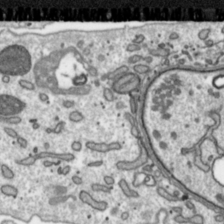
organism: Toxoplasma gondii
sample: Parasites in a vacuole inside a host cell